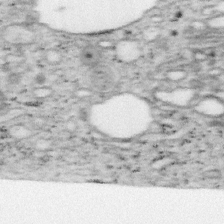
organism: Mouse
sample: OT-I killer T cells with ID8 ovarian cancer cells